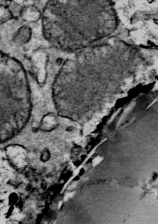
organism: Mouse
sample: Mouse Salivary gland